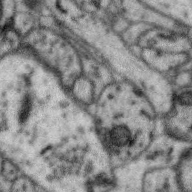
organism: Zebra finch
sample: Brain